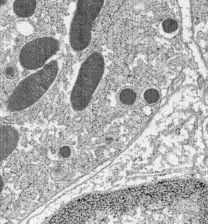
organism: C57BL Mouse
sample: Pancreatic islet